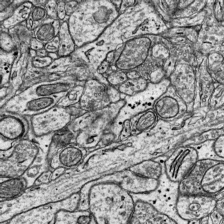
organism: Mouse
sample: Visual Cortex